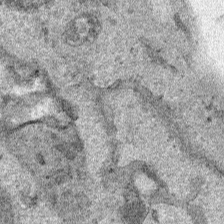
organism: Human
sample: Mitochondria in HCT116 cells